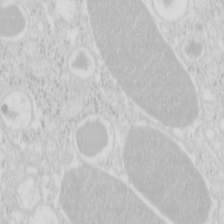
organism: Mouse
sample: Pancreas